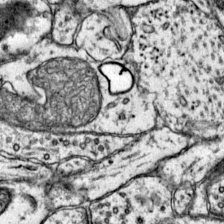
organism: Mouse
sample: Primary visual cortex